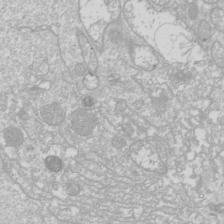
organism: Drosophila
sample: Cell division; meiosis; drosophila spermatocytes